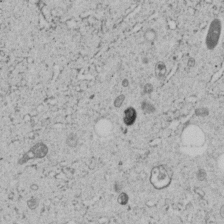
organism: C. elegans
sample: C. elegans embryo early stage